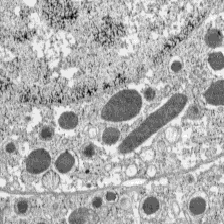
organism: C57BL Mouse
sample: Pancreatic islet